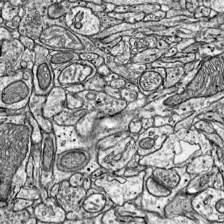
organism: Mouse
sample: Visual Cortex